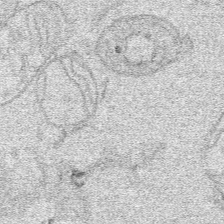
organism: Human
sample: Mitochondria in HCT116 cells